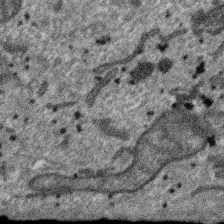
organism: Human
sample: Lung epithelial cells infected with SARS-CoV-2